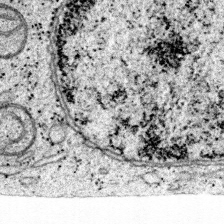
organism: Human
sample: HeLa cells